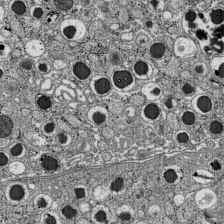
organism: C57BL Mouse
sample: Pancreatic islet